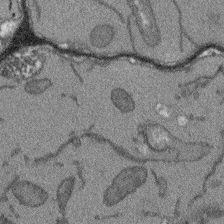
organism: Arabidopsis thaliana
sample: Root tip